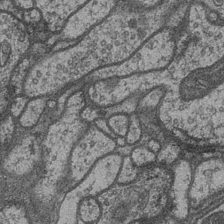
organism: Drosophila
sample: Optic medulla